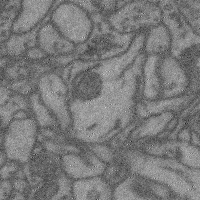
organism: Mouse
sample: Cerebral cortex